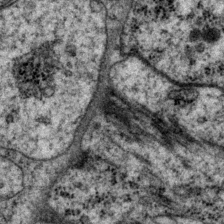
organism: P. pacificus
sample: Pharynx